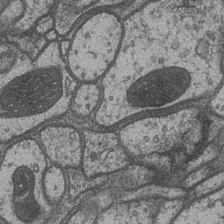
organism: Drosophila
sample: Optic medulla